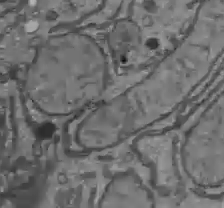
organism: C57BL Mouse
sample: Liver